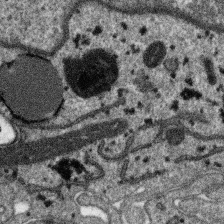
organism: Human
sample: Lung epithelial cells infected with SARS-CoV-2